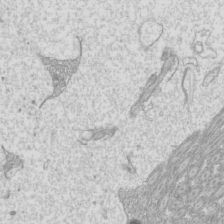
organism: Mouse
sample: Cilia; mouse epididymis